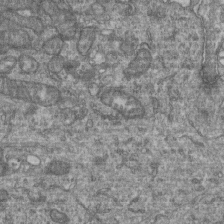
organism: Human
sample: Retinal organoid Rod and Cone cells